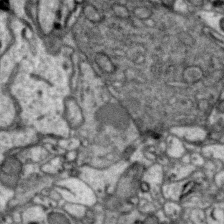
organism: Zebra finch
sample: Brain